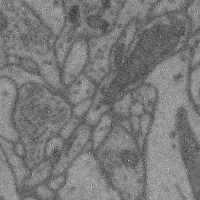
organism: Mouse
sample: Cerebral cortex